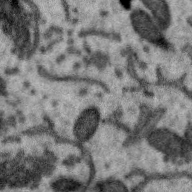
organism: Zebra finch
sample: Brain